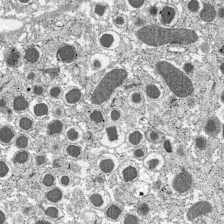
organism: C57BL Mouse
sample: Pancreatic islet